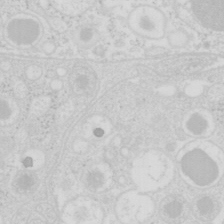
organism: Mouse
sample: Pancreas